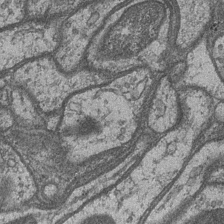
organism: Drosophila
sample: Optic medulla